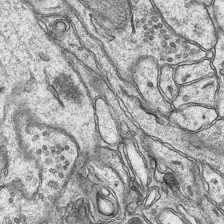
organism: Mouse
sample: CA1 Hippocampus